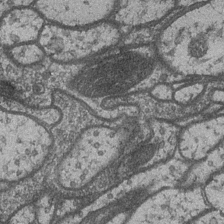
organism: Drosophila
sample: Optic medulla